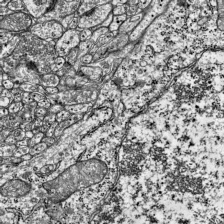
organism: Mouse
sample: Visual Cortex